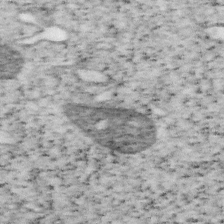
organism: Mouse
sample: OT-I killer T cells with ID8 ovarian cancer cells